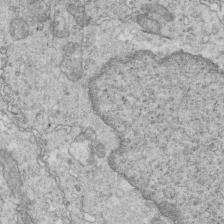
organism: Mouse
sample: Multiciliated cells